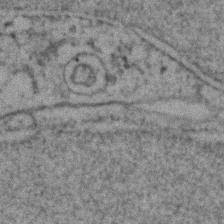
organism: Zebrafish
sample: Zebrafish embryo